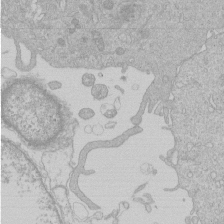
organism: Human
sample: Macrophage cells